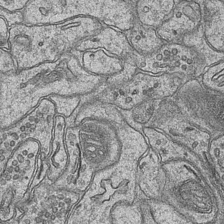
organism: Mouse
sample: CA1 Hippocampus